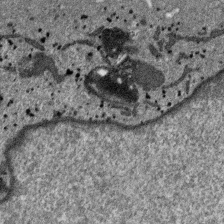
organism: Human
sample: Lung epithelial cells, uninfected (mock) control